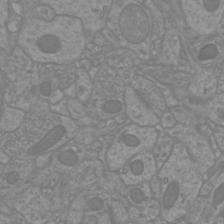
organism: Mouse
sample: Cortical neurons